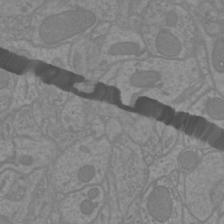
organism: Mouse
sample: Cortical neurons